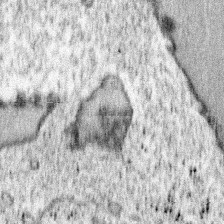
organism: Human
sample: HeLa cells